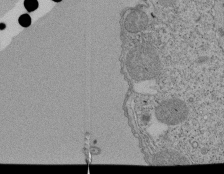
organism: Tetrahymena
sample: Cilia in tetrahymena